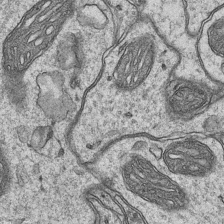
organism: Mouse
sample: CA1 Hippocampus